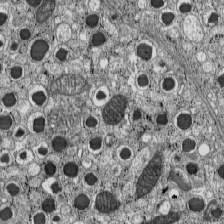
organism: C57BL Mouse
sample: Pancreatic islet